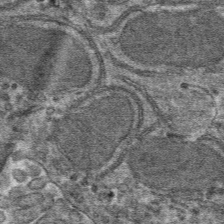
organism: Mouse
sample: Mouse hepatocytes